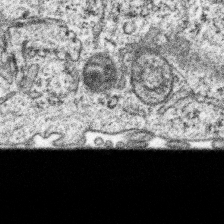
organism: Human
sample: HeLa cells